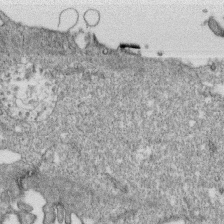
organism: African green monkey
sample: Vero E6 cells infected with SARS-CoV-2